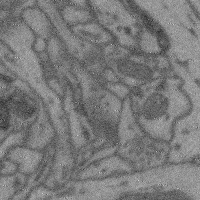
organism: Mouse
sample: Cerebral cortex